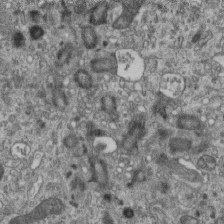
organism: Mouse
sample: Centriole in ependymal cells